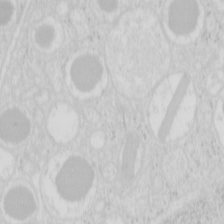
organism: Mouse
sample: Pancreas